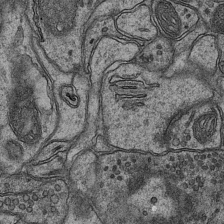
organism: Mouse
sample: CA1 Hippocampus